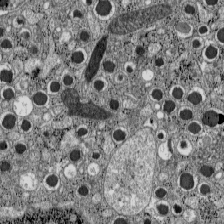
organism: C57BL Mouse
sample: Pancreatic islet